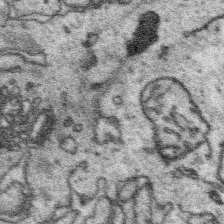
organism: Platynereis dumerilii